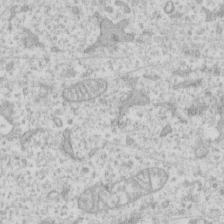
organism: Human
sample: Fibroblast cells